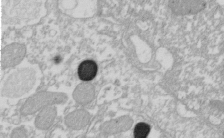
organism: Xenopus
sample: Cilia; centrioles in frog embryo cells